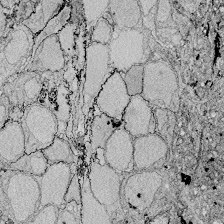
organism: Zebrafish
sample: Whole-Brain